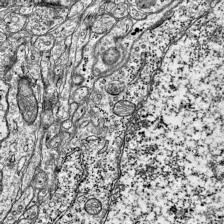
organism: Mouse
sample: Visual Cortex